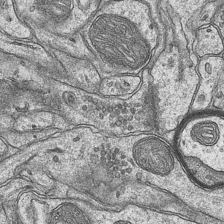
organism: Mouse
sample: CA1 Hippocampus